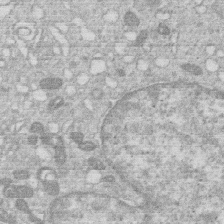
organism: Human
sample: Macrophage cells